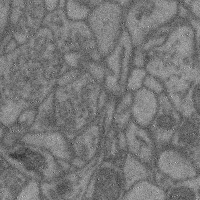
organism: Mouse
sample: Cerebral cortex